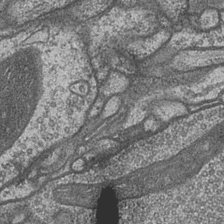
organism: Drosophila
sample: Optic medulla